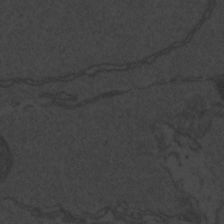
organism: Zebrafish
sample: Macrophage infected with Toxoplasma gondii